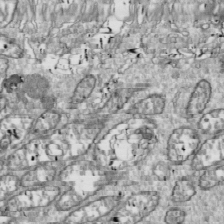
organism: Drosophila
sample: Cell division; meiosis; drosophila spermatocytes